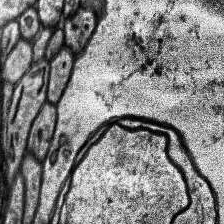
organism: Human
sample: Temporal Lobe